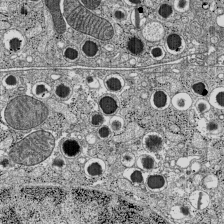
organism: C57BL Mouse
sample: Pancreatic islet